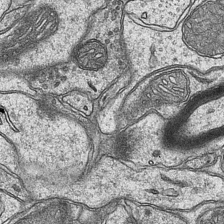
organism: Mouse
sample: CA1 Hippocampus